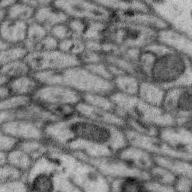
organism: Zebra finch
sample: Brain